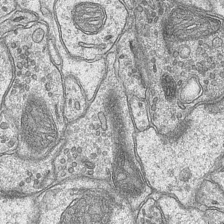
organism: Mouse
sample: CA1 Hippocampus